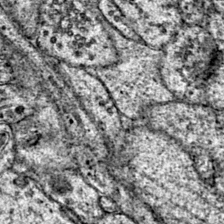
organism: Mouse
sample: Primary visual cortex